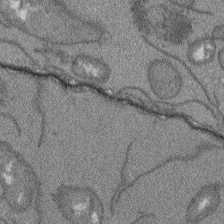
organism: Arabidopsis thaliana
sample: Root tip